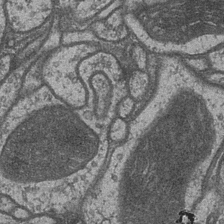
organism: Drosophila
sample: Optic medulla